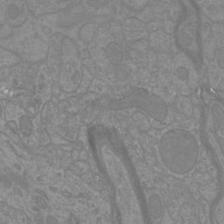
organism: Mouse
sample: Cortical neurons